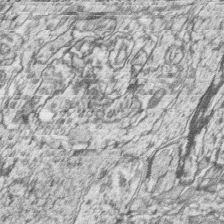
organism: Zebrafish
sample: synaptic ribbons in rod cells and cone cells